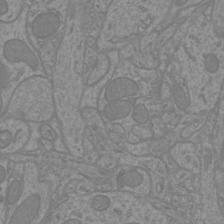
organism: Mouse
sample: Cortical neurons